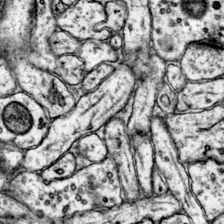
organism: Mouse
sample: Primary visual cortex